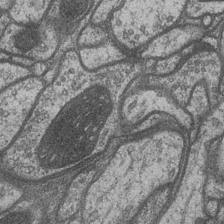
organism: Drosophila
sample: Optic medulla